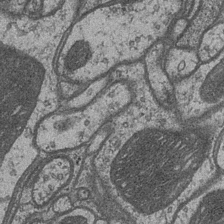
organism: Drosophila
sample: Optic medulla